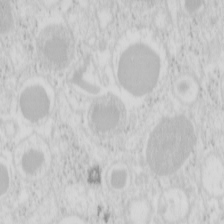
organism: Mouse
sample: Pancreas